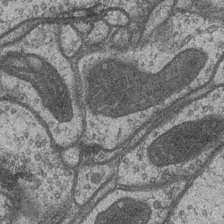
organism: Drosophila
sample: Optic medulla